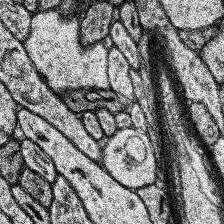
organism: Human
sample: Temporal Lobe